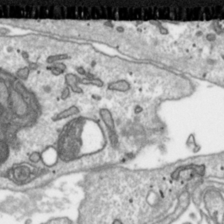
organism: Toxoplasma gondii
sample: Parasites in a vacuole inside a host cell